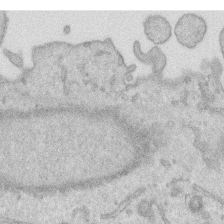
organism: Human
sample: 1205lu cells